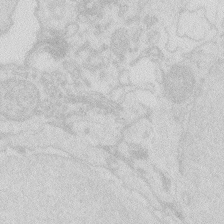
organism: Zebrafish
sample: Macrophage